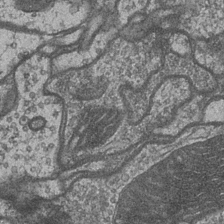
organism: Drosophila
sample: Optic medulla